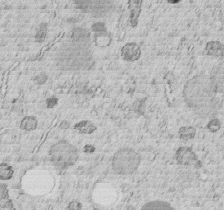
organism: C. elegans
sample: C. elegans embryo early stage